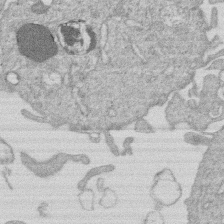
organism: Human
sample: Macrophage cells